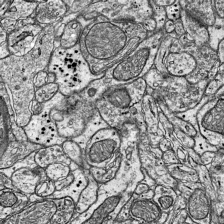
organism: Mouse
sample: Visual Cortex